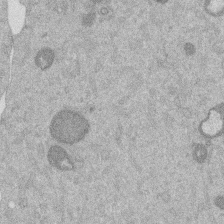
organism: Mouse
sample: Dividing mouse embryo 1 cell stage